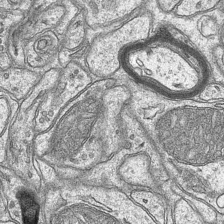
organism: Mouse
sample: CA1 Hippocampus